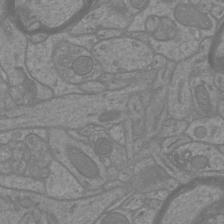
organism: Mouse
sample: Cortical neurons